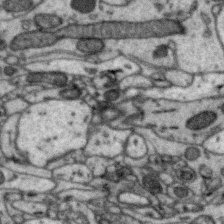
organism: Zebra finch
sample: Brain